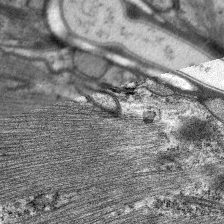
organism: C. elegans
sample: Pharynx